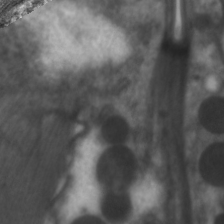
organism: C. elegans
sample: Pharynx